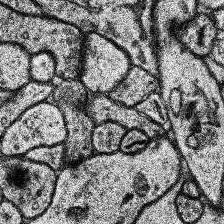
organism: Human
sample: Temporal Lobe